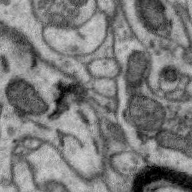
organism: Zebra finch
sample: Brain